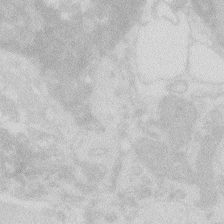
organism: Zebrafish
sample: Macrophage